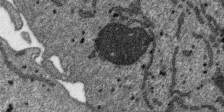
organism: Human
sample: Lung epithelial cells infected with SARS-CoV-2